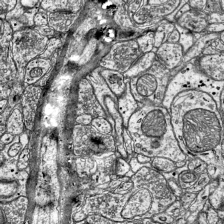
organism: Mouse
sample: Visual Cortex